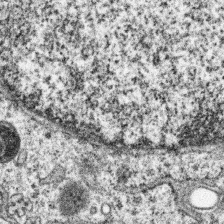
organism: Human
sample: HeLa cells